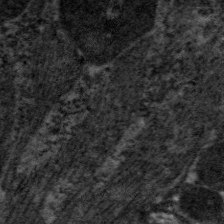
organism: C. elegans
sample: Pharynx